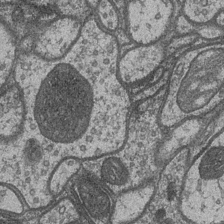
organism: Drosophila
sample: Optic medulla